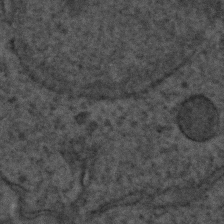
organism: C. elegans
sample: C. elegans embryo